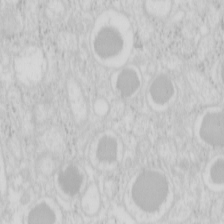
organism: Mouse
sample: Pancreas